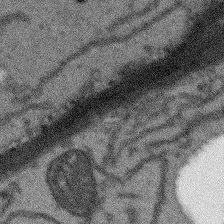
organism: Arabidopsis thaliana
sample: Root tip